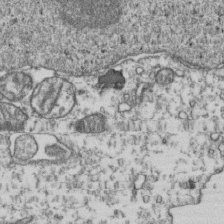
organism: Human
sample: Activated Jurkat CD4+ T cells